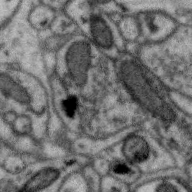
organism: Zebra finch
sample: Brain